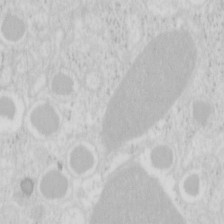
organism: Mouse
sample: Pancreas